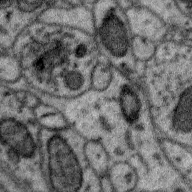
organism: Zebra finch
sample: Brain